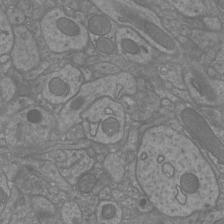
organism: Mouse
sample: Cortical neurons